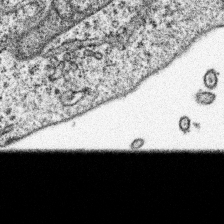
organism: Human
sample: HeLa cells